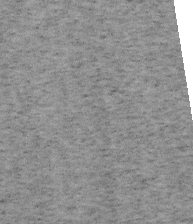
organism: Mouse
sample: OT-I killer T cells with ID8 ovarian cancer cells